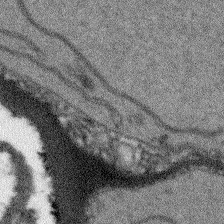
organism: Arabidopsis thaliana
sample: Root tip